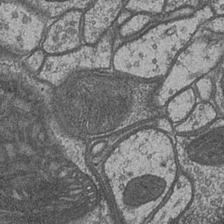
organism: Drosophila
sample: Optic medulla